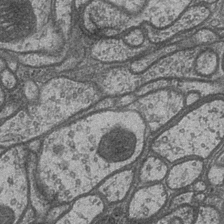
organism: Drosophila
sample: Optic medulla